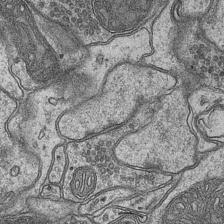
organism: Mouse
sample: CA1 Hippocampus